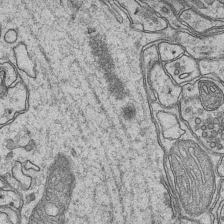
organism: Mouse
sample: CA1 Hippocampus